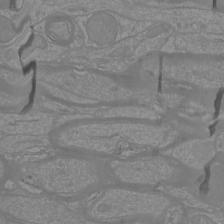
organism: Mouse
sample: Cortical neurons